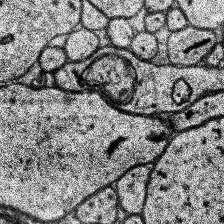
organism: Human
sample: Temporal Lobe